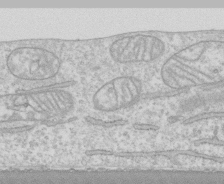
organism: Human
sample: CRL-1474